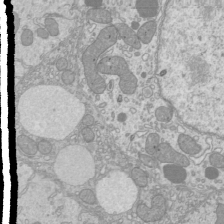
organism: Mouse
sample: Cilia; mouse epididymis